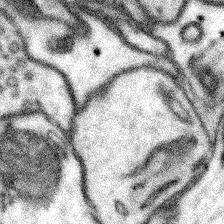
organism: Mouse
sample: Somatosensory cortex neuropil